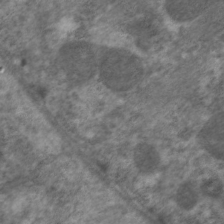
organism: C. elegans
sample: Pharynx